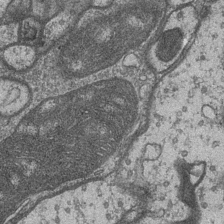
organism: Drosophila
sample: Optic medulla